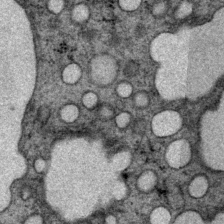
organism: P. pacificus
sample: Pharynx